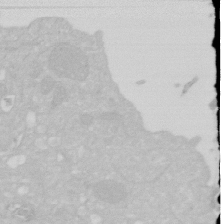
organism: Human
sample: HIV infected U937 cells